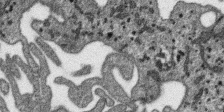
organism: Human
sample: Lung epithelial cells infected with SARS-CoV-2